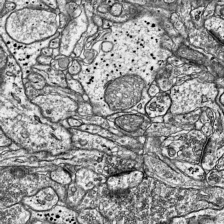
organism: Mouse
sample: Visual Cortex